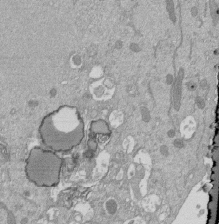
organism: Mouse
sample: ED-1 cell nuclei; centrioles